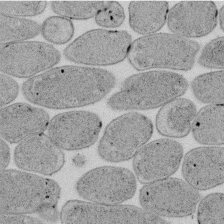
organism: E. coli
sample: Bacterial nucleoid